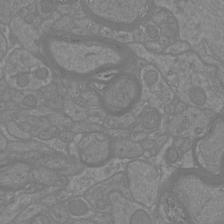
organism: Mouse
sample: Cortical neurons